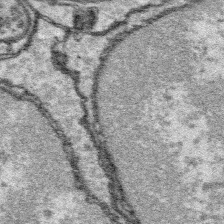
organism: Platynereis dumerilii